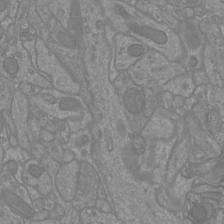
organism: Mouse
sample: Cortical neurons